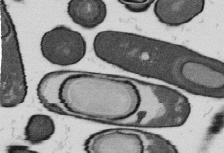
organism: B. subtilis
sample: Bacterial spore